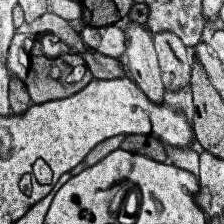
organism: Human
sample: Temporal Lobe